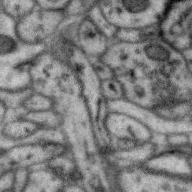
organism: Zebra finch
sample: Brain